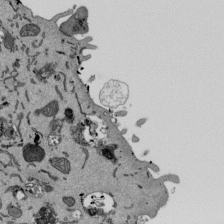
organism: Mouse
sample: ED-1 cell nuclei; centrioles